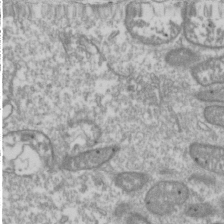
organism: Drosophila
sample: Cell division; meiosis; drosophila spermatocytes